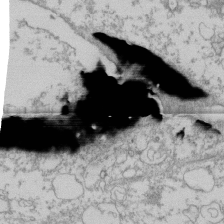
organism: Human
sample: Fibroblast cells